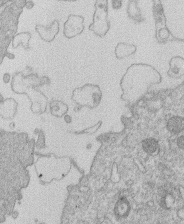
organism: Human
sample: Macrophage cells